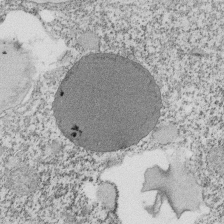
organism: Tetrahymena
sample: Cilia in tetrahymena